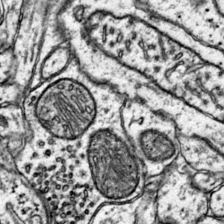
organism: Mouse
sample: Primary visual cortex